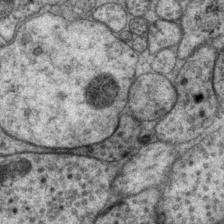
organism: P. pacificus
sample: Pharynx